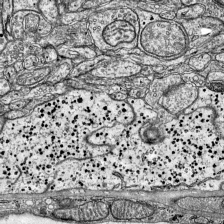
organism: Mouse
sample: Visual Cortex